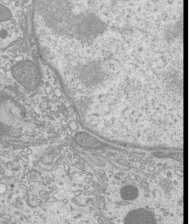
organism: Mouse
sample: Cilia; mouse epididymis